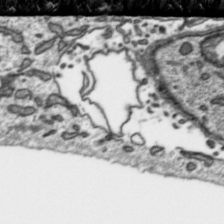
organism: Toxoplasma gondii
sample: Parasites in a vacuole inside a host cell